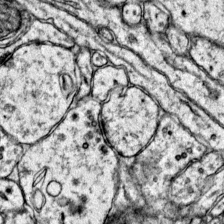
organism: Mouse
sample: Primary visual cortex